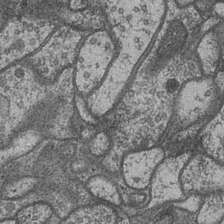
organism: Drosophila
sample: Optic medulla